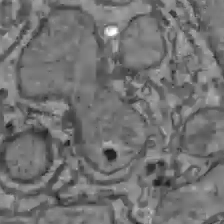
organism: C57BL Mouse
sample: Liver